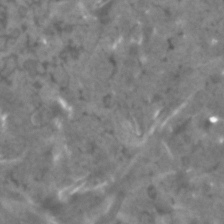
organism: Human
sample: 1205lu cells